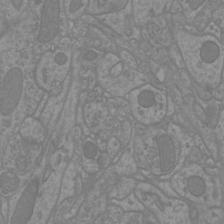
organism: Mouse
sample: Cortical neurons